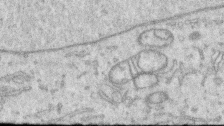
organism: Human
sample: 1205lu cells